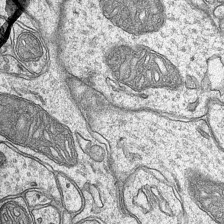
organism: Mouse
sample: CA1 Hippocampus